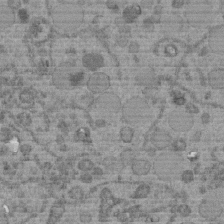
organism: C. elegans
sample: C. elegans embryo early stage